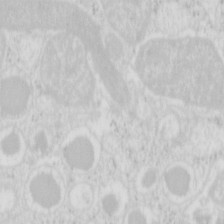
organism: Mouse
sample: Pancreas